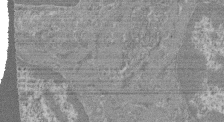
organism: Mouse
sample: Glomerulus